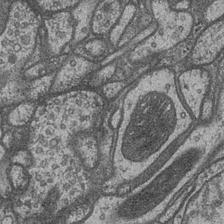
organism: Drosophila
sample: Optic medulla